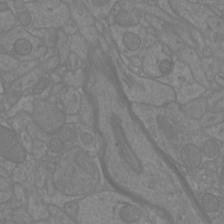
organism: Mouse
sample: Cortical neurons